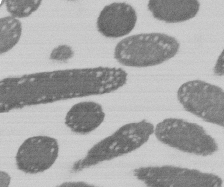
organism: E. coli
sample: Bacterial nucleoid